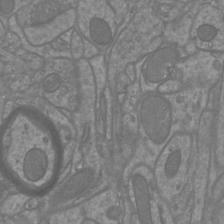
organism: Mouse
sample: Cortical neurons